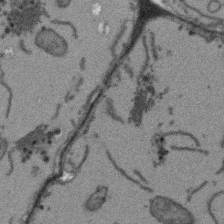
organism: Arabidopsis thaliana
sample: Root tip